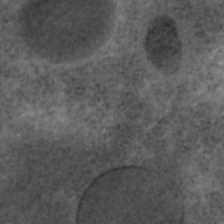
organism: C. elegans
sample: C. elegans embryo